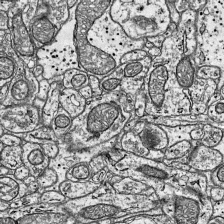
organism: Mouse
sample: Visual Cortex